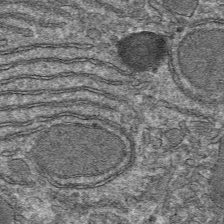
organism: Mouse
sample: Mouse hepatocytes